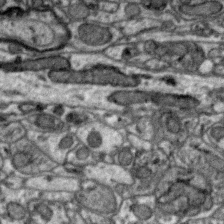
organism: Zebra finch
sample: Brain